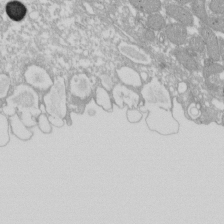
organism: Xenopus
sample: Cilia; centrioles in frog embryo cells